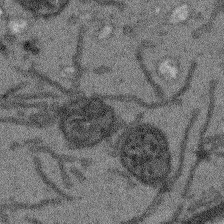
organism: Arabidopsis thaliana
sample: Root tip